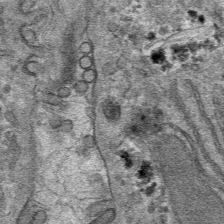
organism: Mouse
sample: Mouse hepatocytes